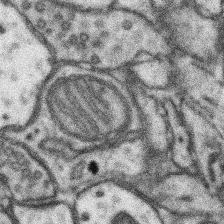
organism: Mouse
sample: Somatosensory cortex neuropil